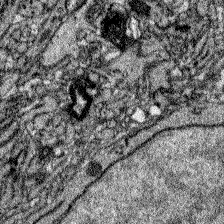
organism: Zebrafish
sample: Larval olfactory bulb